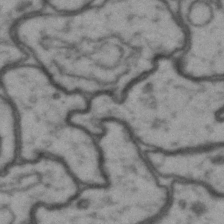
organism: Drosophila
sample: Brain